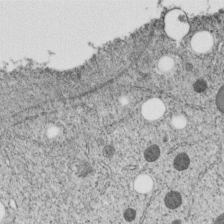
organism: C. elegans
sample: C. elegans embryo early stage